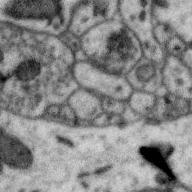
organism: Zebra finch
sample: Brain